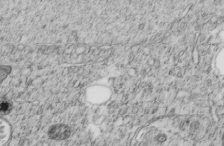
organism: C. elegans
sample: C. elegans embryo early stage